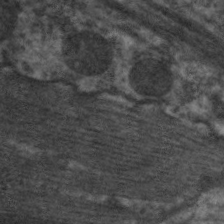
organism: C. elegans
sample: Pharynx